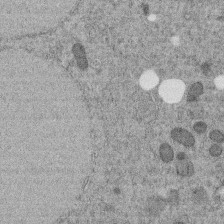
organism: C. elegans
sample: C. elegans embryo early stage